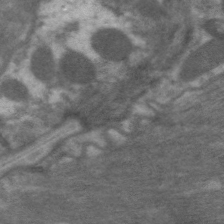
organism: C. elegans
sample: Pharynx